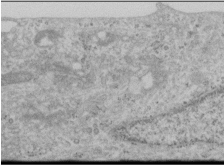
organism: Human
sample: Cilia; basal body in RPE cells